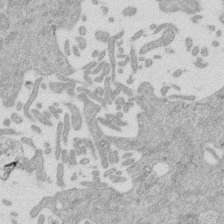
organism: Mouse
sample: Dividing mouse embryo 1 cell stage